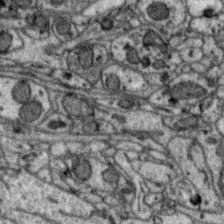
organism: Zebra finch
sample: Brain